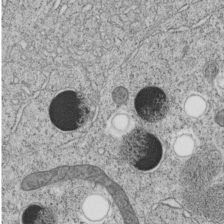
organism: C. elegans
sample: C. elegans embryo early stage